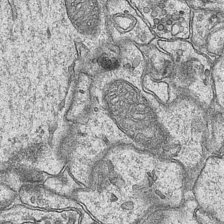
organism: Mouse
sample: CA1 Hippocampus